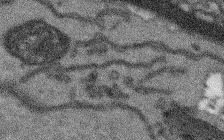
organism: Arabidopsis thaliana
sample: Root tip